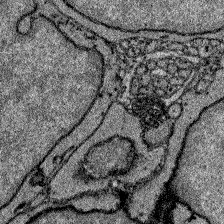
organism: Zebrafish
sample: Larval olfactory bulb